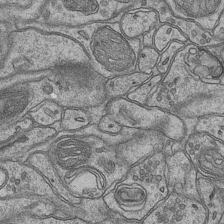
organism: Mouse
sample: CA1 Hippocampus